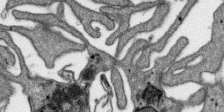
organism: Human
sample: Lung epithelial cells, uninfected (mock) control